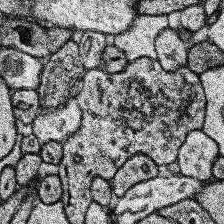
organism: Human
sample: Temporal Lobe